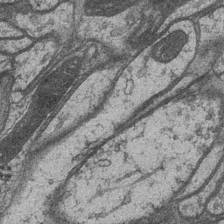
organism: Drosophila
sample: Optic medulla